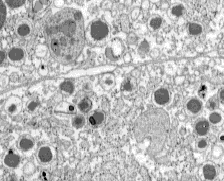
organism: C57BL Mouse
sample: Pancreatic islet